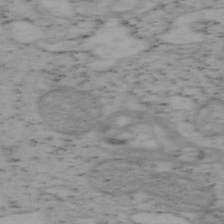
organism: Mouse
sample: OT-I killer T cells with ID8 ovarian cancer cells